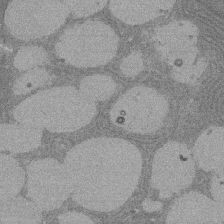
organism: Rat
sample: Salivary granule